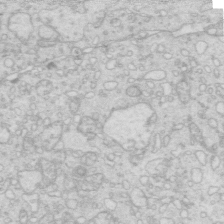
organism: Mouse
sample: Multiciliated cells